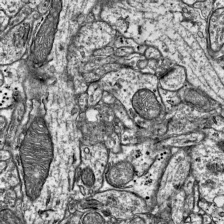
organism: Mouse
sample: Visual Cortex